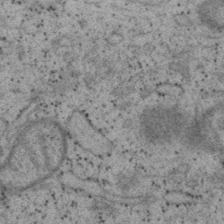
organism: Human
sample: HeLa cells